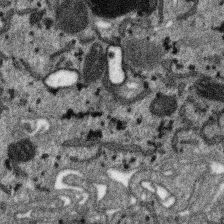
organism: Human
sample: Lung epithelial cells infected with SARS-CoV-2